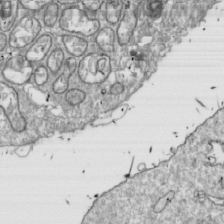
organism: Drosophila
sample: Cell division; meiosis; drosophila spermatocytes